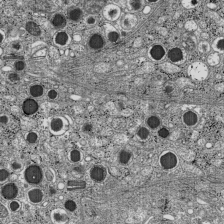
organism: C57BL Mouse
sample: Pancreatic islet